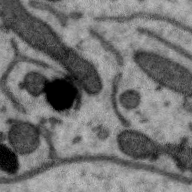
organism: Zebra finch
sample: Brain